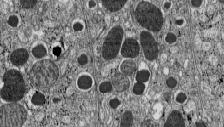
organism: C57BL Mouse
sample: Pancreatic islet